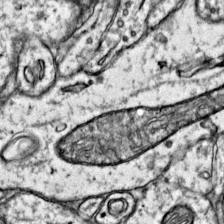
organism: Mouse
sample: Primary visual cortex